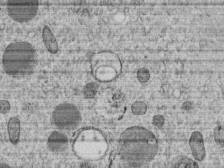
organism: C. elegans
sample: C. elegans embryo early stage